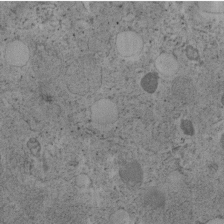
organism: C. elegans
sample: C. elegans embryo early stage